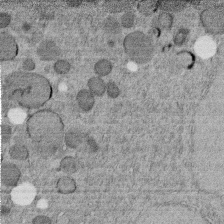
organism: C. elegans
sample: C. elegans embryo early stage